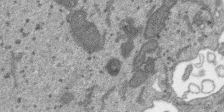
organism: Human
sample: Lung epithelial cells infected with SARS-CoV-2